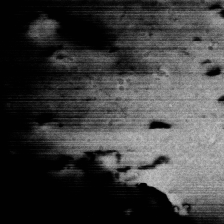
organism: Mouse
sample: Activated OT-1 CD8+ T cells